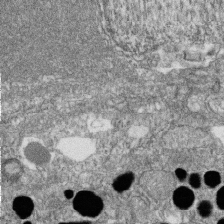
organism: Zebrafish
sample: Cilia; retinal pigment epithelium